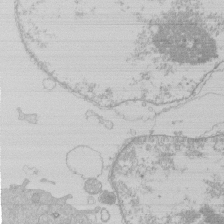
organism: Human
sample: Macrophage cells